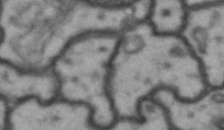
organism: Drosophila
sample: Brain